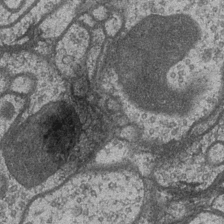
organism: Drosophila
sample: Optic medulla